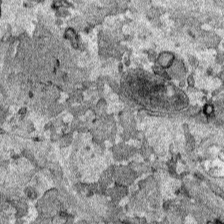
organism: Human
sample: Mitochondria in HCT116 cells